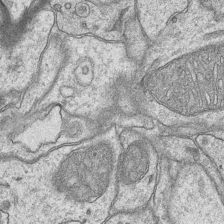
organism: Mouse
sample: CA1 Hippocampus